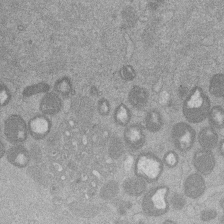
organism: Mouse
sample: Dividing mouse embryo 1 cell stage